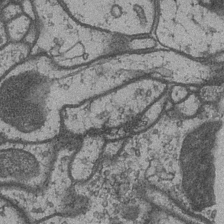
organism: Drosophila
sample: Optic medulla